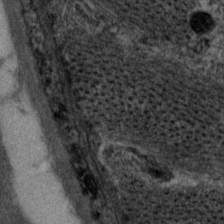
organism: P. pacificus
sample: Pharynx